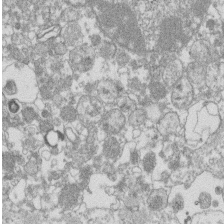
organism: Human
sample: HeLa cell HIV synapse